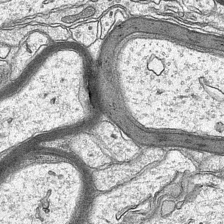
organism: Mouse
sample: CA1 Hippocampus